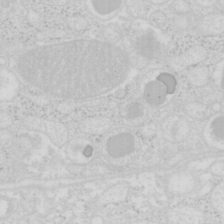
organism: Mouse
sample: Pancreas